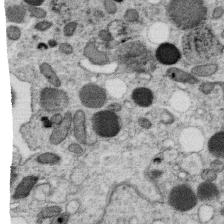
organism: C. elegans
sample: C. elegans oocyte; sperm cells